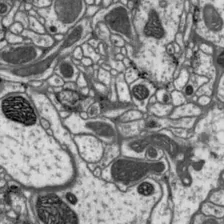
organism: Drosophila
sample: Protocerebral bridge